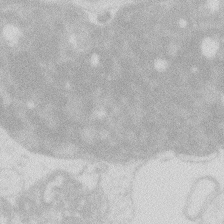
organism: Zebrafish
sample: Macrophage